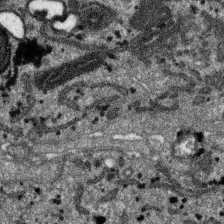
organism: Human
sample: Lung epithelial cells infected with SARS-CoV-2